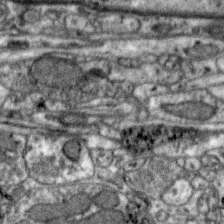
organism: Zebra finch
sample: Brain